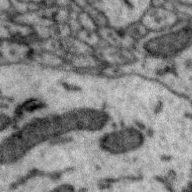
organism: Zebra finch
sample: Brain